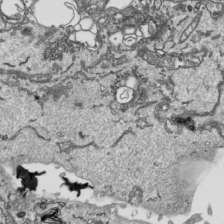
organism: Human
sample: Mitochondria in HCT116 cells